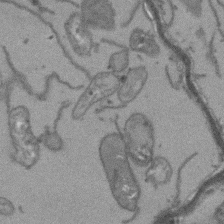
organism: Arabidopsis thaliana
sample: Root tip